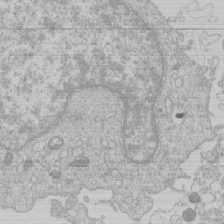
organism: Human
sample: Macrophage cells